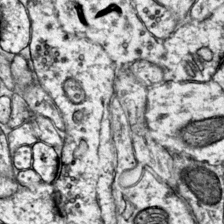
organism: Mouse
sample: Primary visual cortex